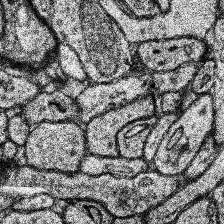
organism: Human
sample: Temporal Lobe